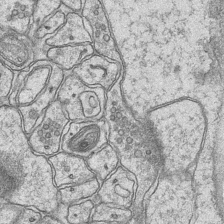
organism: Mouse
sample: CA1 Hippocampus